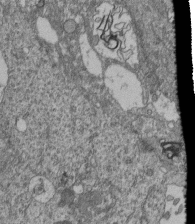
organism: Human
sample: Retinal organoid Rod and Cone cells